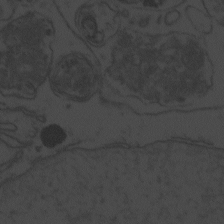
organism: Zebrafish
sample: Macrophage infected with Toxoplasma gondii